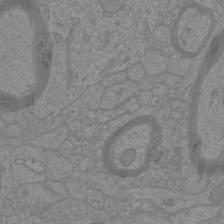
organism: Mouse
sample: Cortical neurons